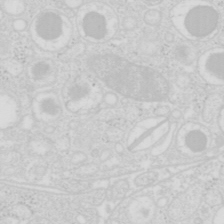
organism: Mouse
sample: Pancreas